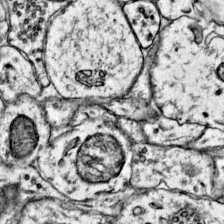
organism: Mouse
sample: Primary visual cortex